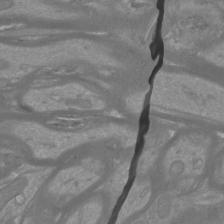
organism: Mouse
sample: Cortical neurons